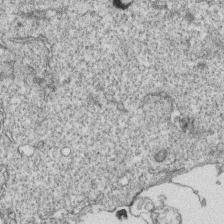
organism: Human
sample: HeLa cell HIV synapse